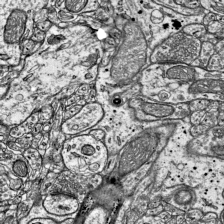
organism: Mouse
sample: Visual Cortex